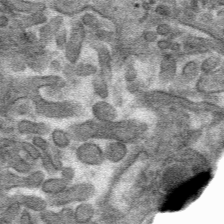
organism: Mouse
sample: Mouse hepatocytes